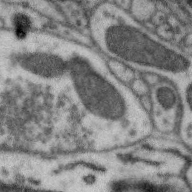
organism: Zebra finch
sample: Brain